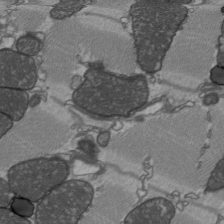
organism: C57BL Mouse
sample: Heart